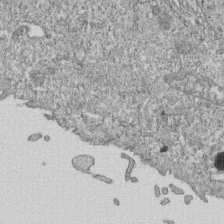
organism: Human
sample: HeLa cell HIV synapse